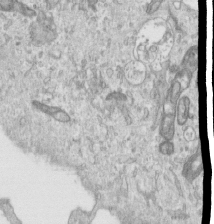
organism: Human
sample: Centriole in RPE cells